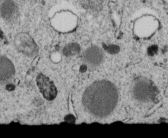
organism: C. elegans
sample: C. elegans embryo early stage